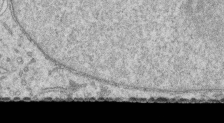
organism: Human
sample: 1205lu cells